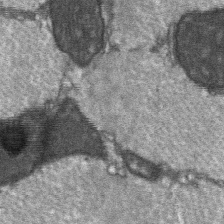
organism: C57BL Mouse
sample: Soleus